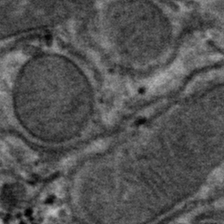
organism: Mouse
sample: Mouse hepatocytes